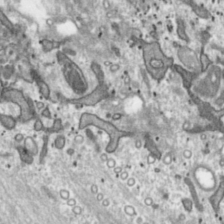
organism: Toxoplasma gondii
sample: Parasites in a vacuole inside a host cell